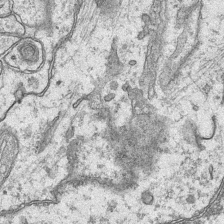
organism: Mouse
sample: CA1 Hippocampus